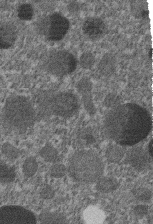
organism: C. elegans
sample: C. elegans embryo early stage